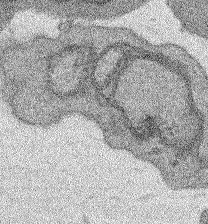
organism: Human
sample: HeLa cells